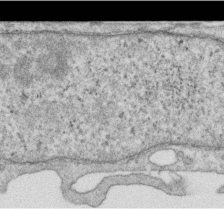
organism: Human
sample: Centriole in RPE cells